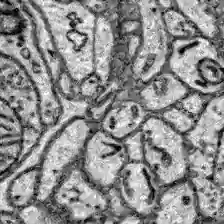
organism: Zebrafish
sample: Brain